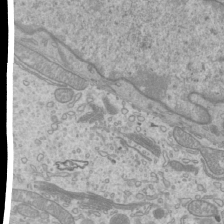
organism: Mouse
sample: Cilia; mouse epididymis